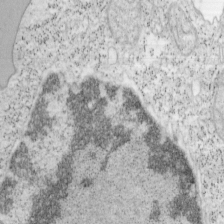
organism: Mouse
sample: OT-I killer T cells with ID8 ovarian cancer cells